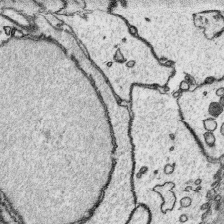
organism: Platynereis dumerilii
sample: Parapodia